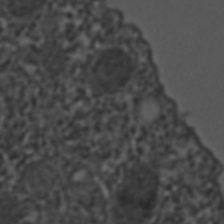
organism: C. elegans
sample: C. elegans embryo